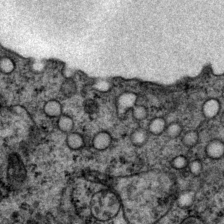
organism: P. pacificus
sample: Pharynx